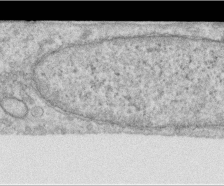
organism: Human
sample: Centriole in RPE cells